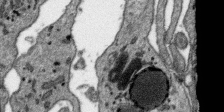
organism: Human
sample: Lung epithelial cells, uninfected (mock) control